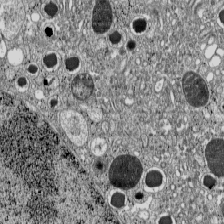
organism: C57BL Mouse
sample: Pancreatic islet